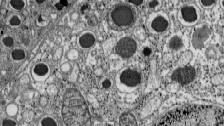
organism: C57BL Mouse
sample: Pancreatic islet